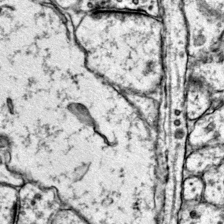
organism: Mouse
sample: Primary visual cortex